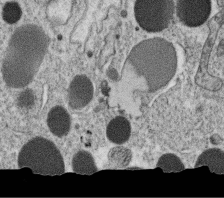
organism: C. elegans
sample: C. elegans oocyte; sperm cells